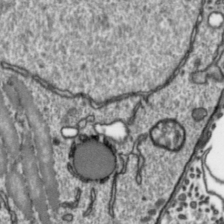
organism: Toxoplasma gondii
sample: Parasites in a vacuole inside a host cell